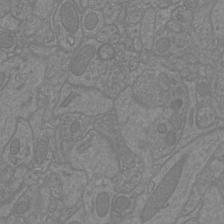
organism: Mouse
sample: Cortical neurons